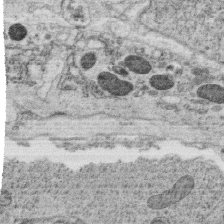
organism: C. elegans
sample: C. elegans oocyte; sperm cells